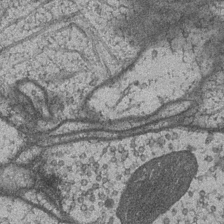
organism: Drosophila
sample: Optic medulla